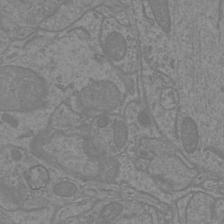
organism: Mouse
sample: Cortical neurons